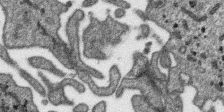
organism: Human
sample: Lung epithelial cells infected with SARS-CoV-2